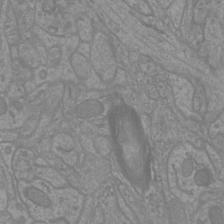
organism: Mouse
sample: Cortical neurons